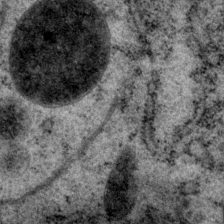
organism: P. pacificus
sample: Pharynx